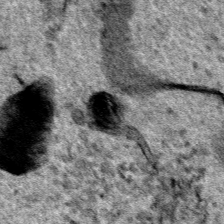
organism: Human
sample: Mitochondria in HCT116 cells